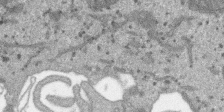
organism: Human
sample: Lung epithelial cells infected with SARS-CoV-2